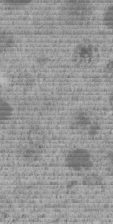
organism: C. elegans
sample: C. elegans embryo early stage